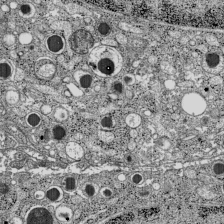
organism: C57BL Mouse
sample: Pancreatic islet